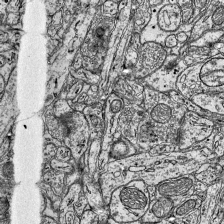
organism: Mouse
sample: Visual Cortex